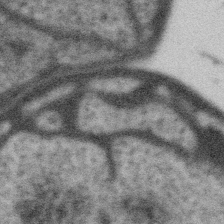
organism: Gemmata obscuriglobus